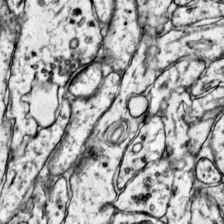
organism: Mouse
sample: Primary visual cortex